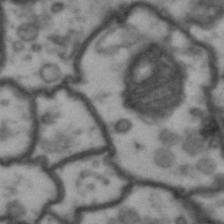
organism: Drosophila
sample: Brain